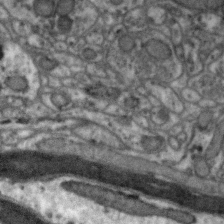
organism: Zebra finch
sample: Brain